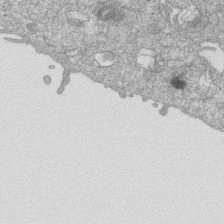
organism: Human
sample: HeLa cell HIV synapse